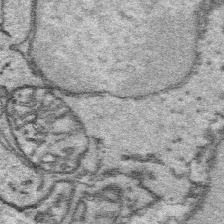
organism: Platynereis dumerilii